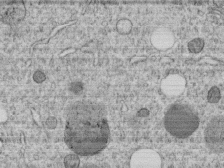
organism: C. elegans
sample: C. elegans embryo early stage